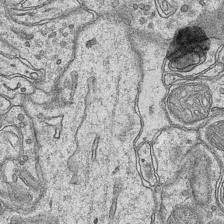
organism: Mouse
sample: CA1 Hippocampus